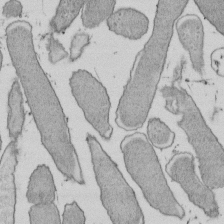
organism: E. coli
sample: Bacterial nucleoid